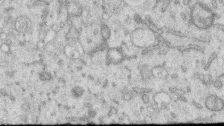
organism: Human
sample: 1205lu cells